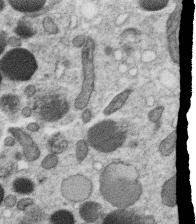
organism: C. elegans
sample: C. elegans oocyte; sperm cells